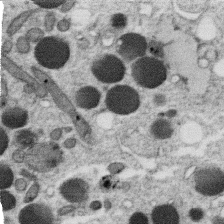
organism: C. elegans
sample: C. elegans oocyte; sperm cells